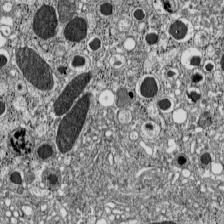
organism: C57BL Mouse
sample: Pancreatic islet